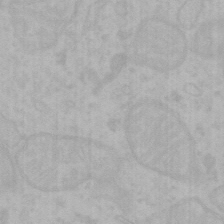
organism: Mouse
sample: Choroid plexus